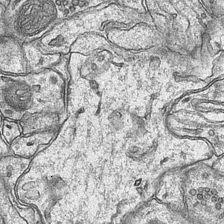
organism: Mouse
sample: CA1 Hippocampus